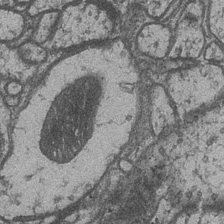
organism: Drosophila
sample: Optic medulla